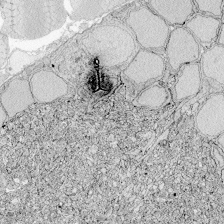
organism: Zebrafish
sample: Whole-Brain